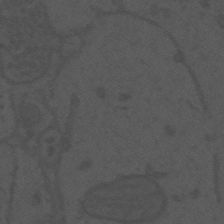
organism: Mouse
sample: Suprachiasmatic nucleus